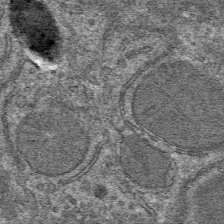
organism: Mouse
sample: Mouse hepatocytes